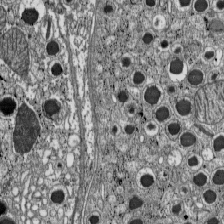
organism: C57BL Mouse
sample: Pancreatic islet